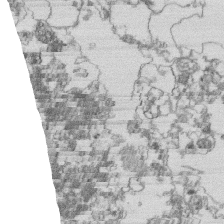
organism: Human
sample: HeLa cell HIV synapse